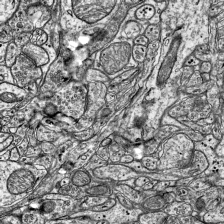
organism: Mouse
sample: Visual Cortex